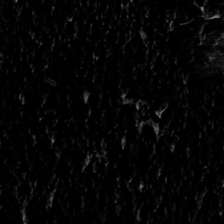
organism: Toxoplasma gondii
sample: Parasites in a vacuole inside a host cell